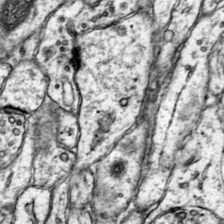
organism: Mouse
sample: Primary visual cortex